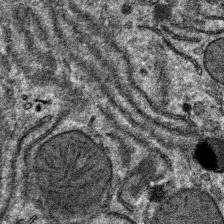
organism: Mouse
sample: Mouse hepatocytes